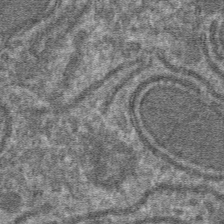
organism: Mouse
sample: Mouse hepatocytes